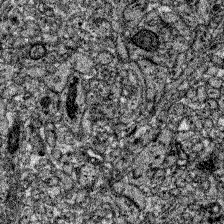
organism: Zebrafish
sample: Larval olfactory bulb